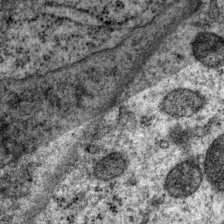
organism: P. pacificus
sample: Pharynx